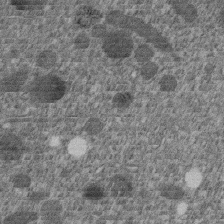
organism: C. elegans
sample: C. elegans embryo early stage